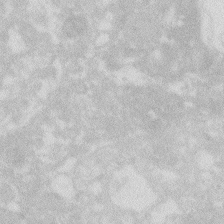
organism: Zebrafish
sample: Macrophage